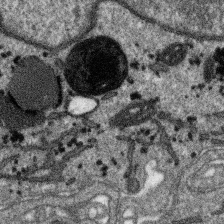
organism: Human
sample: Lung epithelial cells infected with SARS-CoV-2